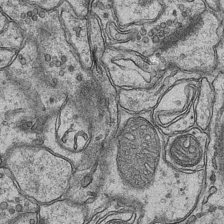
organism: Mouse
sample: CA1 Hippocampus